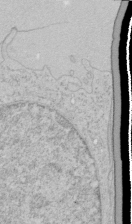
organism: Human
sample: Mitochondria in HCT116 cells